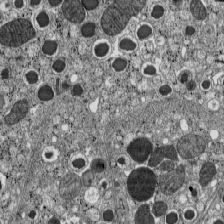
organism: C57BL Mouse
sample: Pancreatic islet